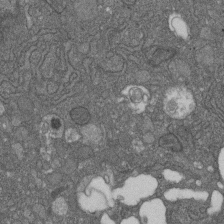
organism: Drosophila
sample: Nephrocyte